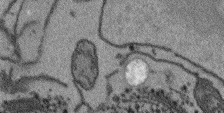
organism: Arabidopsis thaliana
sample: Root tip